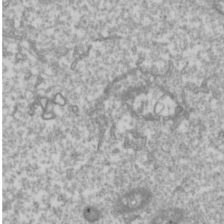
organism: Drosophila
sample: Cell division; meiosis; drosophila spermatocytes